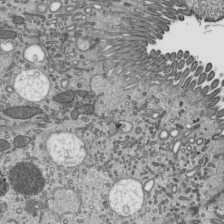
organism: Mouse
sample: Mouse epididymis efferent ductule cilia